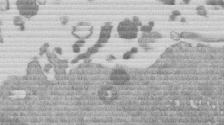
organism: Mouse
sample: Dividing mouse embryo 1 cell stage